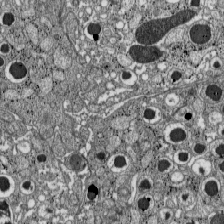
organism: C57BL Mouse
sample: Pancreatic islet